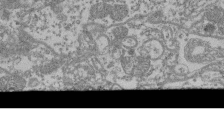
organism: Mouse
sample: Glomerulus